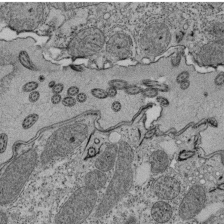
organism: Tetrahymena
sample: Cilia in tetrahymena